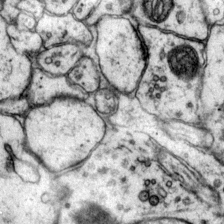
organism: Mouse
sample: Primary visual cortex